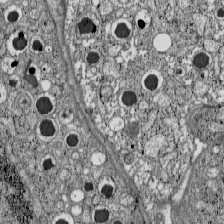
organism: C57BL Mouse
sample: Pancreatic islet